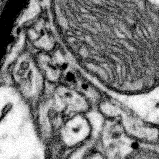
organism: Mouse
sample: Somatosensory cortex neuropil